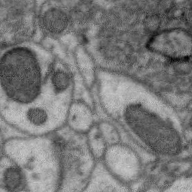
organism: Zebra finch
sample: Brain